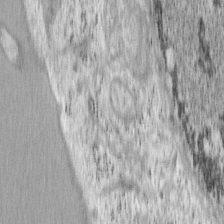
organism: Human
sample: HeLa cells